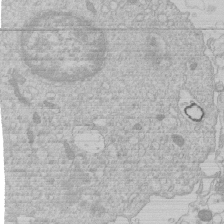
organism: Human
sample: Macrophage cells